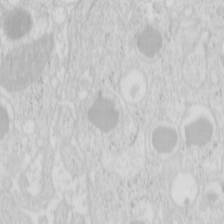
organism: Mouse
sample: Pancreas